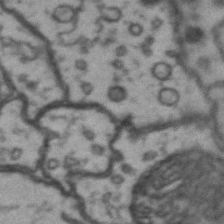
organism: Drosophila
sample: Brain